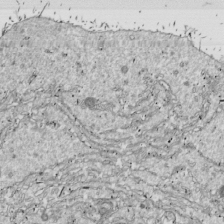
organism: Drosophila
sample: Cell division; meiosis; drosophila spermatocytes